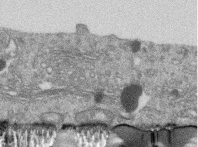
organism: Human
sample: Centriole in RPE cells